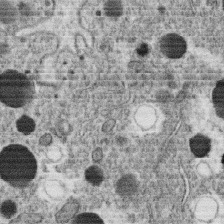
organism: C. elegans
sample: C. elegans oocyte; sperm cells